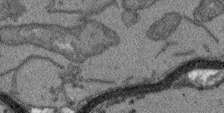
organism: Arabidopsis thaliana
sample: Root tip